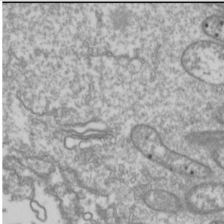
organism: Drosophila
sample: Cell division; meiosis; drosophila spermatocytes